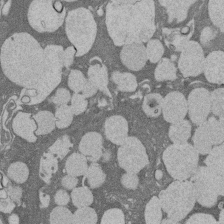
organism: Rat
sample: Salivary granule